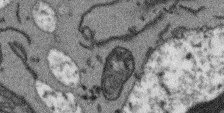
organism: Arabidopsis thaliana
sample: Root tip